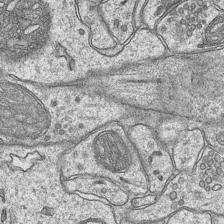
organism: Mouse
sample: CA1 Hippocampus